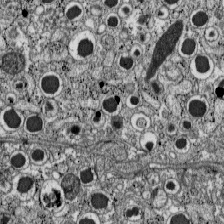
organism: C57BL Mouse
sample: Pancreatic islet